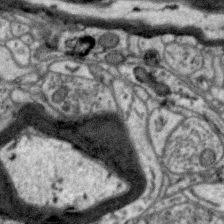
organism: Zebra finch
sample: Brain